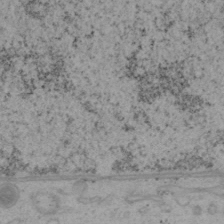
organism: Human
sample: HeLa cells